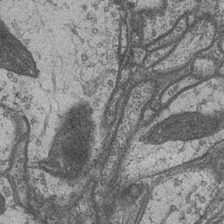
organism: Drosophila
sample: Optic medulla